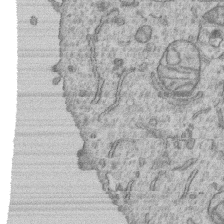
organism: Human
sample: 1205lu cells